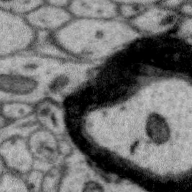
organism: Zebra finch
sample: Brain